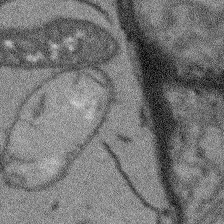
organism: Arabidopsis thaliana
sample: Root tip